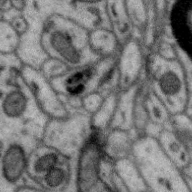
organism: Zebra finch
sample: Brain